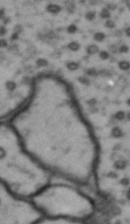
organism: Drosophila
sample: Brain